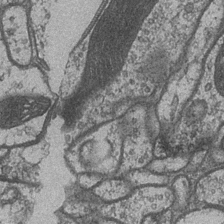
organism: Drosophila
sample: Optic medulla